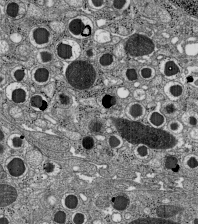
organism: C57BL Mouse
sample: Pancreatic islet